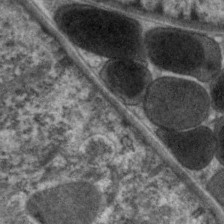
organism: C. elegans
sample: Pharynx